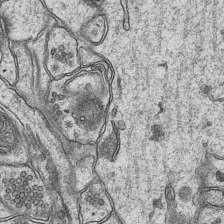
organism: Mouse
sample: CA1 Hippocampus